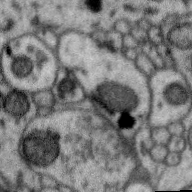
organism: Zebra finch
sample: Brain